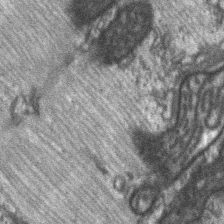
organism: C57BL Mouse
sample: Soleus